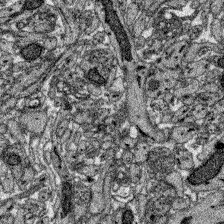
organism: Zebrafish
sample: Larval olfactory bulb